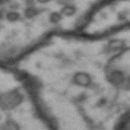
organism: Drosophila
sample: Brain